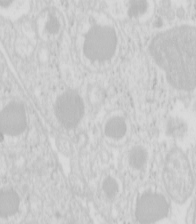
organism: Mouse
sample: Pancreas